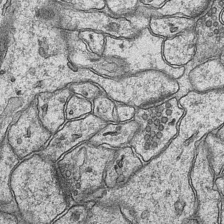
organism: Mouse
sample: CA1 Hippocampus